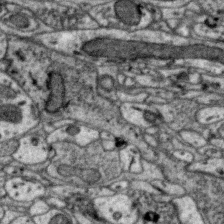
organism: Zebra finch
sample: Brain